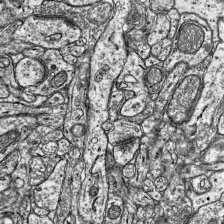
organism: Mouse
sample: Visual Cortex